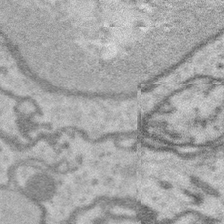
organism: Platynereis dumerilii